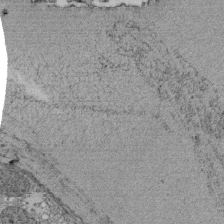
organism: Tetrahymena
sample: Cilia in tetrahymena